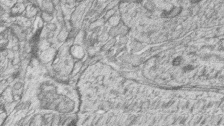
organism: Zebrafish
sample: synaptic ribbons in rod cells and cone cells